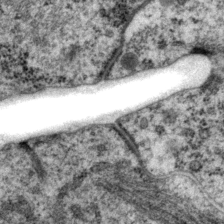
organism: P. pacificus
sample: Pharynx